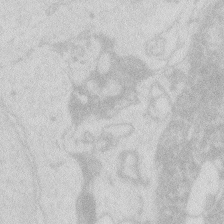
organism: Zebrafish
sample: Macrophage